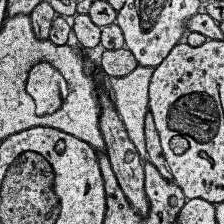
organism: Human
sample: Temporal Lobe